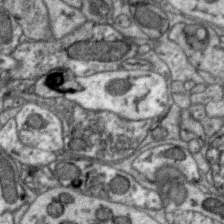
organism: Zebra finch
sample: Brain